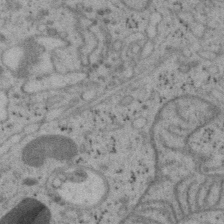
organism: Human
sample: HeLa cells